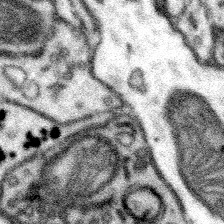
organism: Mouse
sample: Somatosensory cortex neuropil